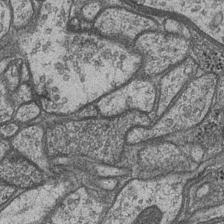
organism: Drosophila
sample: Optic medulla